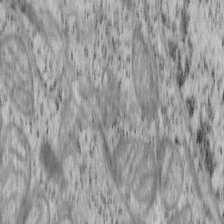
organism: Human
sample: HeLa cells